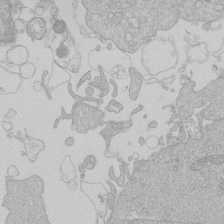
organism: Human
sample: Macrophage cells